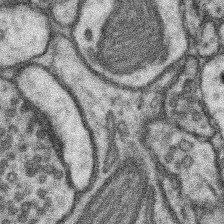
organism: Mouse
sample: Somatosensory cortex neuropil